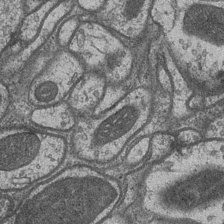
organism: Drosophila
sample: Optic medulla